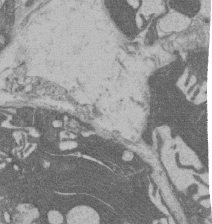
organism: Rat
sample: Salivary granule